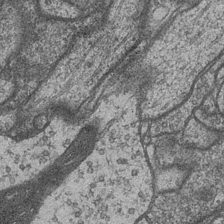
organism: Drosophila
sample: Optic medulla